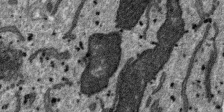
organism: Human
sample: Lung epithelial cells, uninfected (mock) control